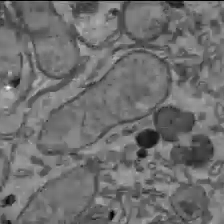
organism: C57BL Mouse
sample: Liver